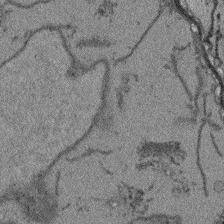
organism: Arabidopsis thaliana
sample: Root tip